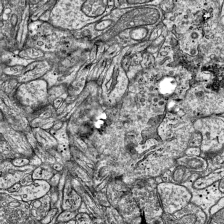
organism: Mouse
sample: Visual Cortex